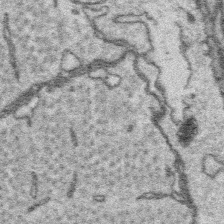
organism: Platynereis dumerilii